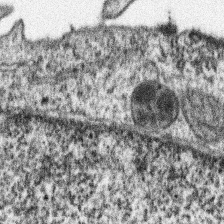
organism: Human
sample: HeLa cells